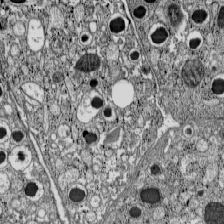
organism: C57BL Mouse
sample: Pancreatic islet